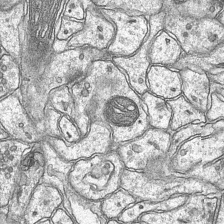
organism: Mouse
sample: CA1 Hippocampus